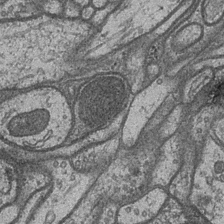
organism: Drosophila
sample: Optic medulla